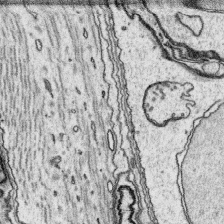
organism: Platynereis dumerilii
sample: Parapodia